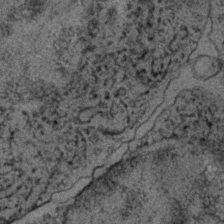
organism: C. elegans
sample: C. elegans embryo